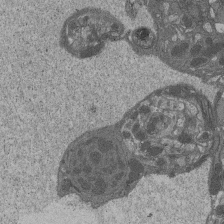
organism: Drosophila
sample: Antenna